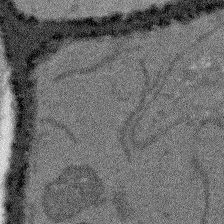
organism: Arabidopsis thaliana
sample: Root tip